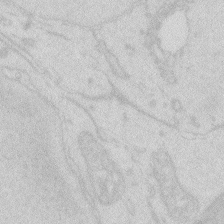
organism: Zebrafish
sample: Macrophage